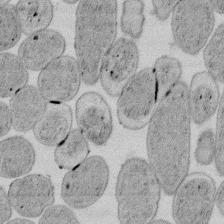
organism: E. coli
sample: Bacterial nucleoid